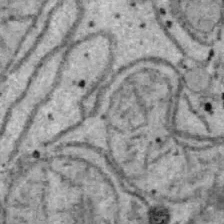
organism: Mouse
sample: Liver from an obese (ob/ob) mouse